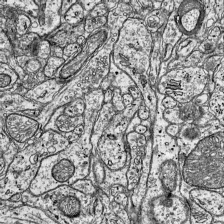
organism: Mouse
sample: Visual Cortex